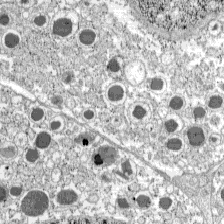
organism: C57BL Mouse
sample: Pancreatic islet